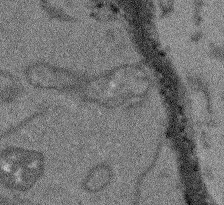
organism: Arabidopsis thaliana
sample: Root tip